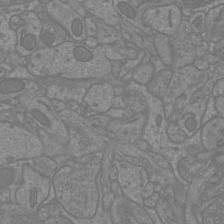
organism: Mouse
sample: Cortical neurons